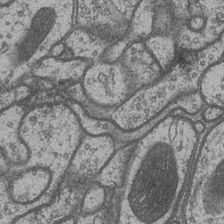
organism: Drosophila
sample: Optic medulla